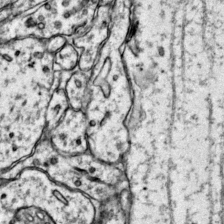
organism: Mouse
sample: Primary visual cortex